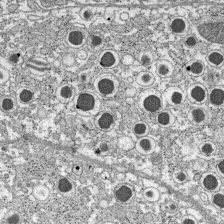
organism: C57BL Mouse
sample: Pancreatic islet